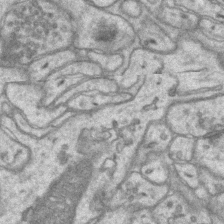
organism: Mouse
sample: CA1 Hippocampus